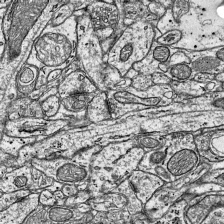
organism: Mouse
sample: Visual Cortex